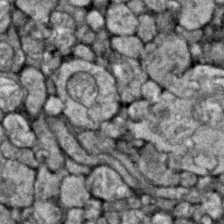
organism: Zebrafish